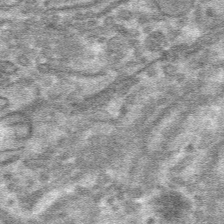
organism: Mouse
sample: Mouse hepatocytes